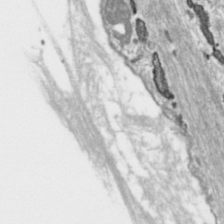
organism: Toxoplasma gondii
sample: Parasites in a vacuole inside a host cell